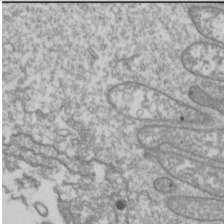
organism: Drosophila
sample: Cell division; meiosis; drosophila spermatocytes